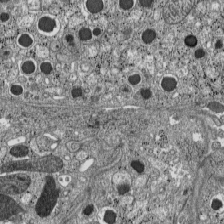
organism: C57BL Mouse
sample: Pancreatic islet